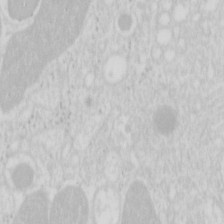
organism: Mouse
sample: Pancreas